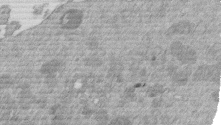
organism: Mouse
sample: Dividing mouse embryo 1 cell stage